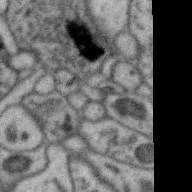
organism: Zebra finch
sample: Brain